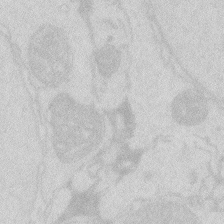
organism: Zebrafish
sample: Macrophage